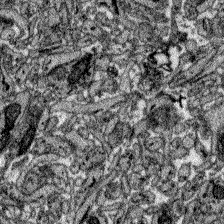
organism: Zebrafish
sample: Larval olfactory bulb